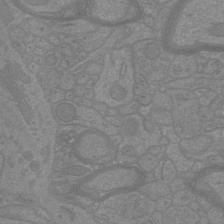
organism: Mouse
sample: Cortical neurons